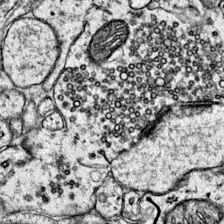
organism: Mouse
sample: Primary visual cortex